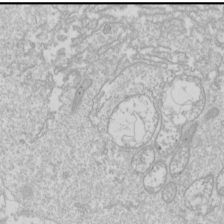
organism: Drosophila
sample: Cell division; meiosis; drosophila spermatocytes